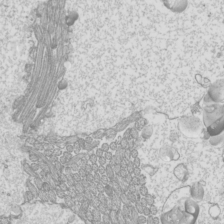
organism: Mouse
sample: Cilia; mouse epididymis